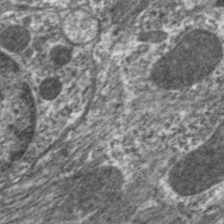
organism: C. elegans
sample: Pharynx